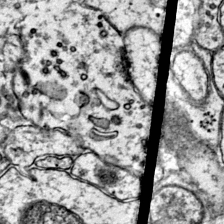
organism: Mouse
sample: Primary visual cortex